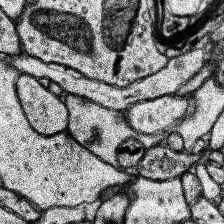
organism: Human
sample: Temporal Lobe